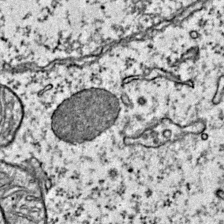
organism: Mouse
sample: Primary visual cortex